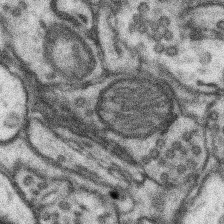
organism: Mouse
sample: Somatosensory cortex neuropil